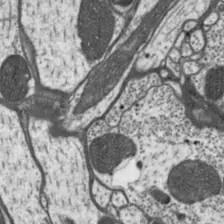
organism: Drosophila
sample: Protocerebral bridge